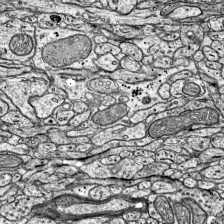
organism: Mouse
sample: Visual Cortex